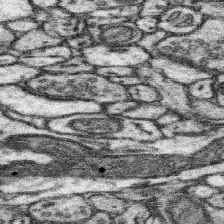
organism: Mouse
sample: Somatosensory cortex neuropil